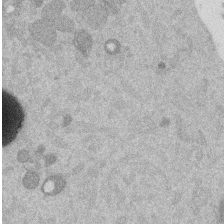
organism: Mouse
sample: Dividing mouse embryo 1 cell stage